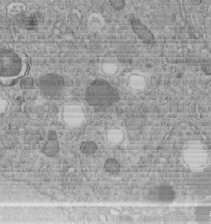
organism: C. elegans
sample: C. elegans embryo early stage